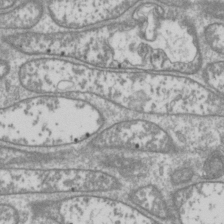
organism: Drosophila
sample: Cell division; meiosis; drosophila spermatocytes